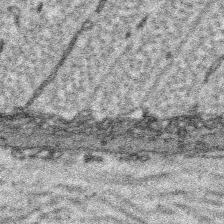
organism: Platynereis dumerilii